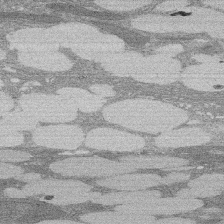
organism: Rat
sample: Salivary granule